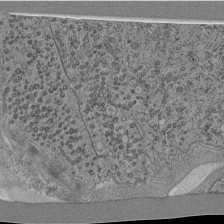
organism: C. elegans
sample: C. elegans pharynx